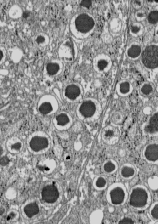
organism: C57BL Mouse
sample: Pancreatic islet